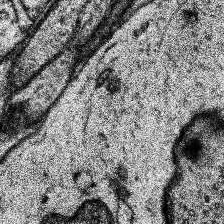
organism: Human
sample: Temporal Lobe